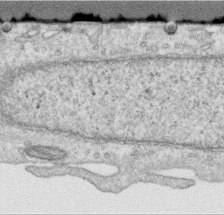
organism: Human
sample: Centriole in RPE cells